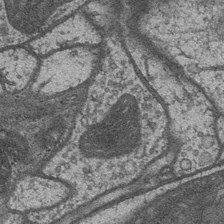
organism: Drosophila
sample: Optic medulla